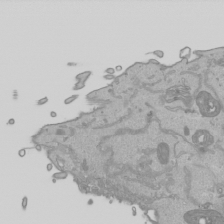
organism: Human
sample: Mitochondria in HCT116 cells